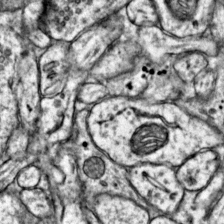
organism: Mouse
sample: Primary visual cortex